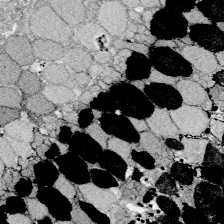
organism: Zebrafish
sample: Whole-Brain